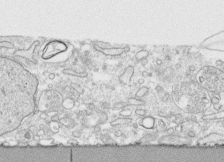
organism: Human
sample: CRL-1474